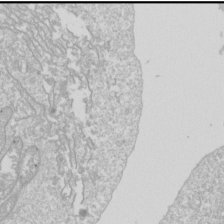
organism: Drosophila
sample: Cell division; meiosis; drosophila spermatocytes